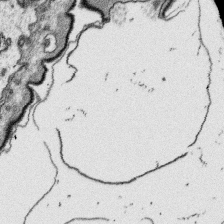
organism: Platynereis dumerilii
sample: Parapodia